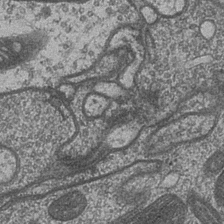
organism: Drosophila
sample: Optic medulla